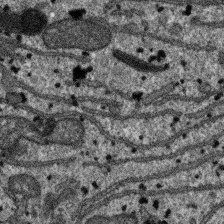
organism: Human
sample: Lung epithelial cells infected with SARS-CoV-2